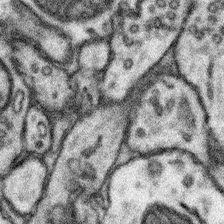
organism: Mouse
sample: Somatosensory cortex neuropil